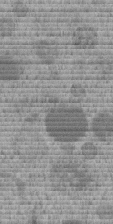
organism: C. elegans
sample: C. elegans embryo early stage